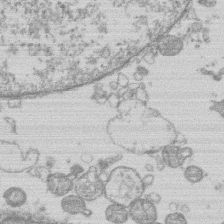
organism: Human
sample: Macrophage cells